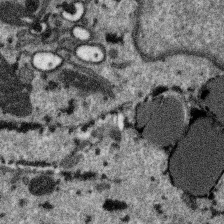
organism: Human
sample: Lung epithelial cells infected with SARS-CoV-2